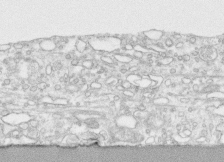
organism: Human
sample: CRL-1474